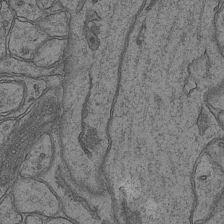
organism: Mouse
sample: CA1 Hippocampus